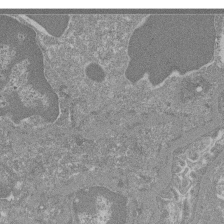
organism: Mouse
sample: Glomerulus